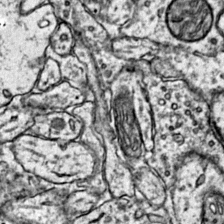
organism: Mouse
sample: Primary visual cortex